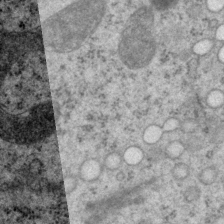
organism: P. pacificus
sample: Pharynx